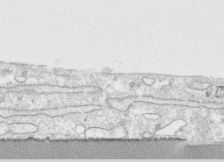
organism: Human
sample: CRL-1474